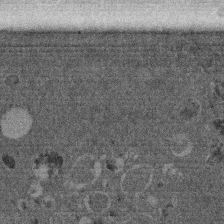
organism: Mouse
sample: Dividing mouse embryo 1 cell stage